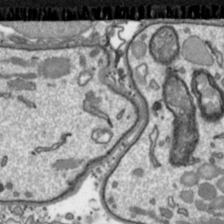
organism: Toxoplasma gondii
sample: Parasites in a vacuole inside a host cell